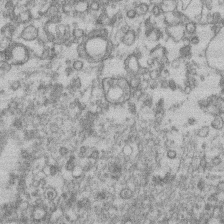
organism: Mouse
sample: T cell stromal cell synapse